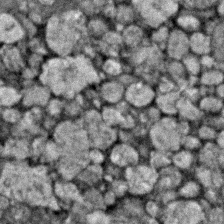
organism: Zebrafish